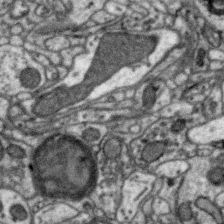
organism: Zebra finch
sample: Brain